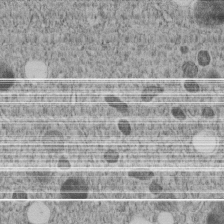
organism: C. elegans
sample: C. elegans embryo early stage